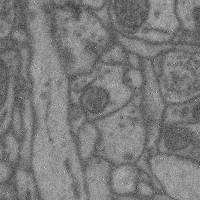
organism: Mouse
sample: Cerebral cortex